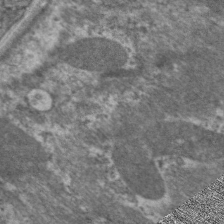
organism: C. elegans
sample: Pharynx